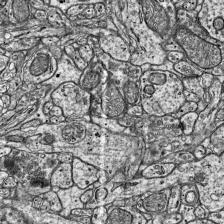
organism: Mouse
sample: Visual Cortex